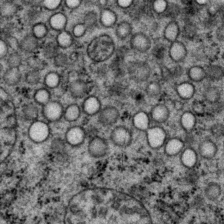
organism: P. pacificus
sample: Pharynx